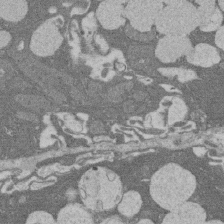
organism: Rat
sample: Salivary granule